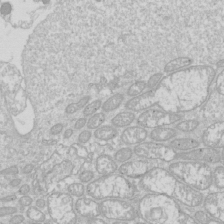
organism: Drosophila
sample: Cell division; meiosis; drosophila spermatocytes